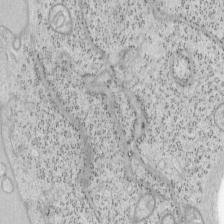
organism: Mouse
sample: OT-I killer T cells with ID8 ovarian cancer cells